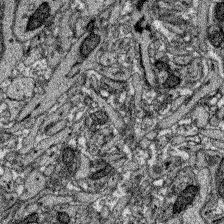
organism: Zebrafish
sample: Larval olfactory bulb